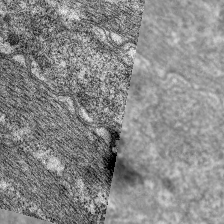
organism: C. elegans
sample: Pharynx